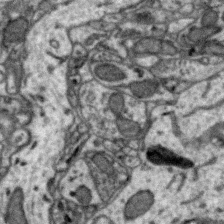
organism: Zebra finch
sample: Brain